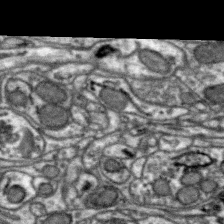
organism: Zebra finch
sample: Brain